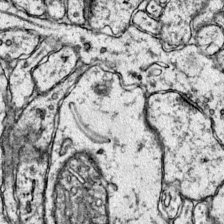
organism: Mouse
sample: Primary visual cortex